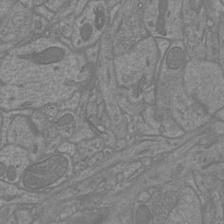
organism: Mouse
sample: Cortical neurons